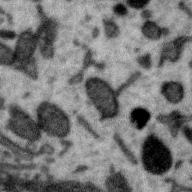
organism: Zebra finch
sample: Brain